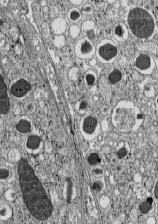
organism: C57BL Mouse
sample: Pancreatic islet